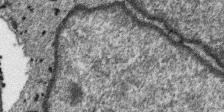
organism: Human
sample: Lung epithelial cells infected with SARS-CoV-2